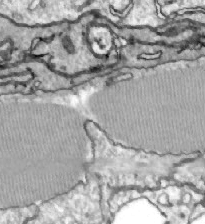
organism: Zebrafish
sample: Actinotrichia fibers